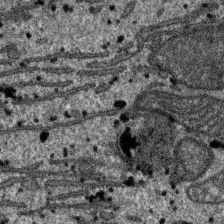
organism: Human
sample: Lung epithelial cells infected with SARS-CoV-2